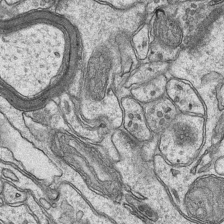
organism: Mouse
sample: CA1 Hippocampus